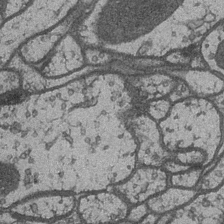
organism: Drosophila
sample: Optic medulla